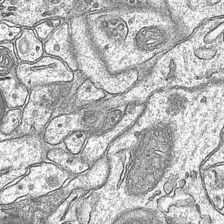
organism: Mouse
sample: CA1 Hippocampus